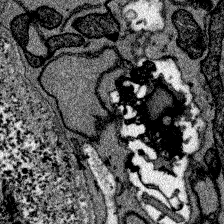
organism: Zebrafish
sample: Larval olfactory bulb